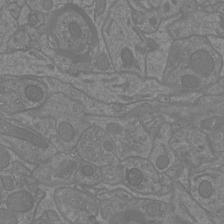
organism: Mouse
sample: Cortical neurons